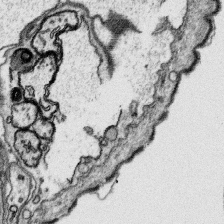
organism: Platynereis dumerilii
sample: Parapodia